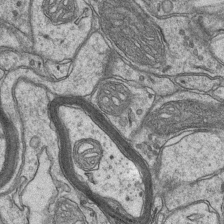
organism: Mouse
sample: CA1 Hippocampus